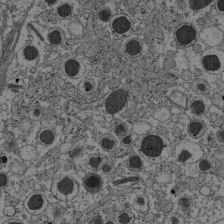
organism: C57BL Mouse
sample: Pancreatic islet